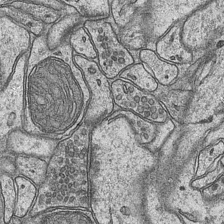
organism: Mouse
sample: CA1 Hippocampus